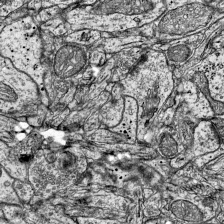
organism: Mouse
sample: Visual Cortex